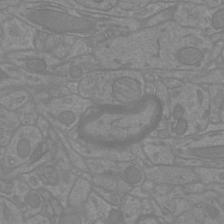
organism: Mouse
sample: Cortical neurons